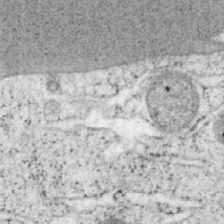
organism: Mouse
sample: OT-I killer T cells with ID8 ovarian cancer cells